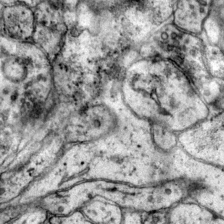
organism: Mouse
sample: Primary visual cortex